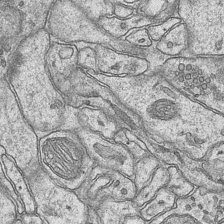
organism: Mouse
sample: CA1 Hippocampus